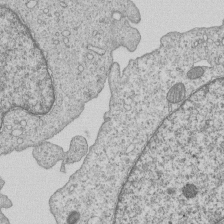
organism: Human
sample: MDA-MB-231 cells